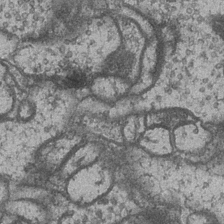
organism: Drosophila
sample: Optic medulla